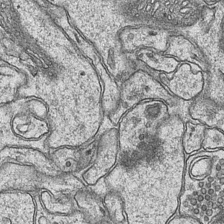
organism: Mouse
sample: CA1 Hippocampus